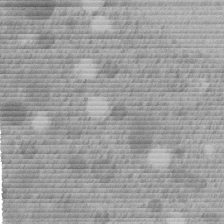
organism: C. elegans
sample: C. elegans embryo early stage